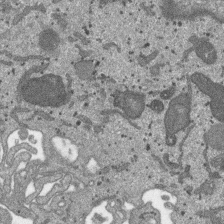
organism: Human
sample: Lung epithelial cells infected with SARS-CoV-2